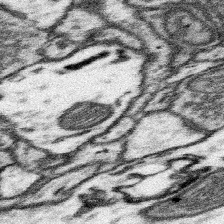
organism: Mouse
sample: Somatosensory cortex neuropil